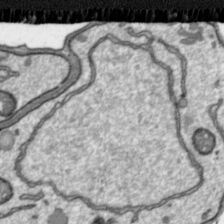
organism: Toxoplasma gondii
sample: Parasites in a vacuole inside a host cell